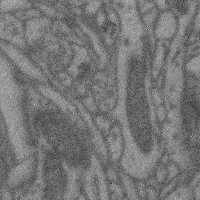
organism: Mouse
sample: Cerebral cortex